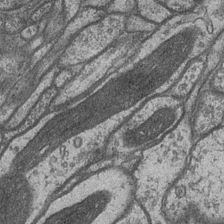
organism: Drosophila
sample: Optic medulla